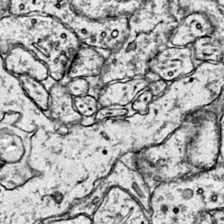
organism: Mouse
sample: Primary visual cortex